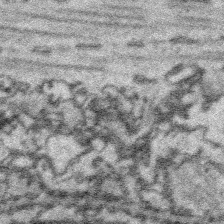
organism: Platynereis dumerilii